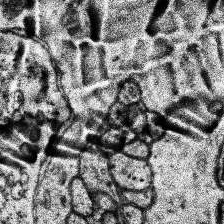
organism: Human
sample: Temporal Lobe